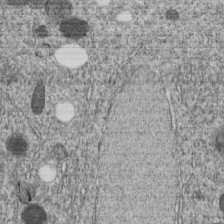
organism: C. elegans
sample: C. elegans embryo early stage